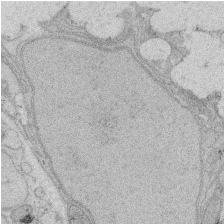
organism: Rat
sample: Salivary granule